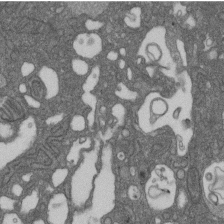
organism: Drosophila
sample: Nephrocyte